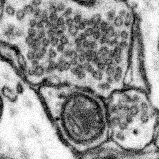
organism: Mouse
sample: Somatosensory cortex neuropil